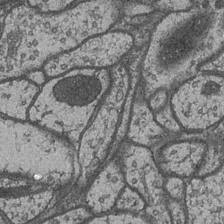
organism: Drosophila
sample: Optic medulla